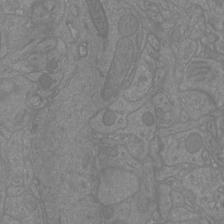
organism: Mouse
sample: Cortical neurons